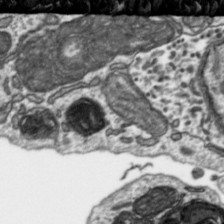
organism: Toxoplasma gondii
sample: Parasites in a vacuole inside a host cell